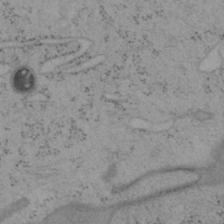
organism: Mouse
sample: OT-I killer T cells with ID8 ovarian cancer cells